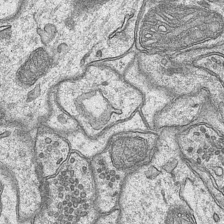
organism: Mouse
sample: CA1 Hippocampus